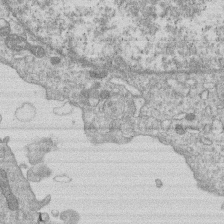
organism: Human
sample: Macrophage cells